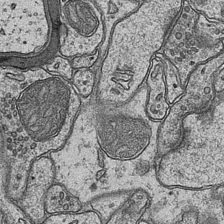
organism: Mouse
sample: CA1 Hippocampus